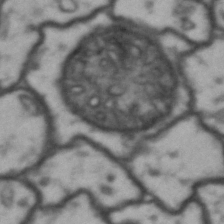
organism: Drosophila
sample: Brain